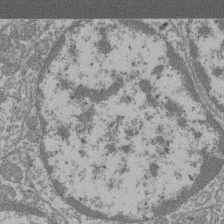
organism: Mouse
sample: Glomerulus